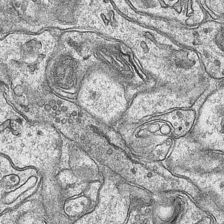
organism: Mouse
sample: CA1 Hippocampus